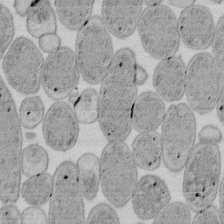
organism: E. coli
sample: Bacterial nucleoid